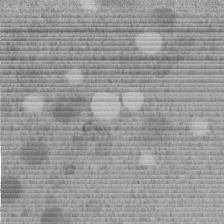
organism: C. elegans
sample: C. elegans embryo early stage